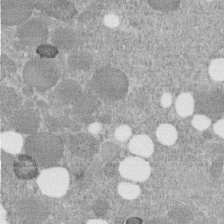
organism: C. elegans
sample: C. elegans embryo early stage